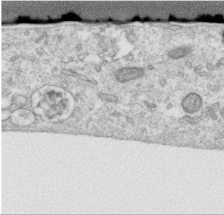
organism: Human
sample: Centriole in RPE cells